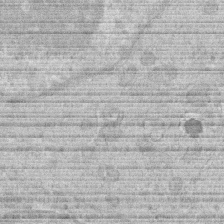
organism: Human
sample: Macrophage cells